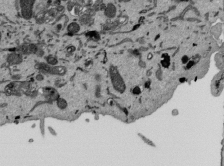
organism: Mouse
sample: ED-1 cell nuclei; centrioles